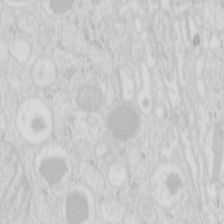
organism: Mouse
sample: Pancreas